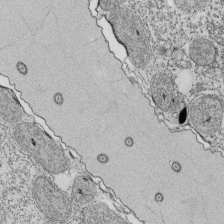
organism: Tetrahymena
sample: Cilia in tetrahymena